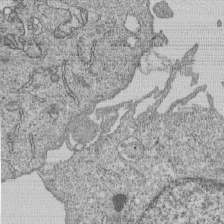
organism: Human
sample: MDA-MB-231 cells